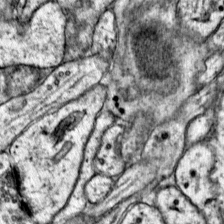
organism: Mouse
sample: Primary visual cortex